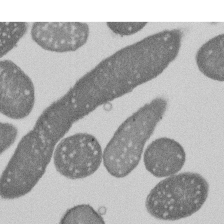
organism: E. coli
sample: Bacterial nucleoid